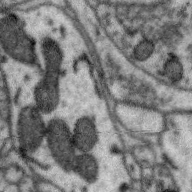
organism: Zebra finch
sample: Brain